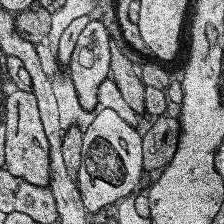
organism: Human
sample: Temporal Lobe